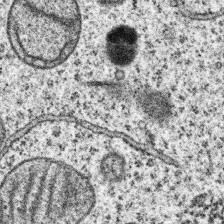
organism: Human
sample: HeLa cells